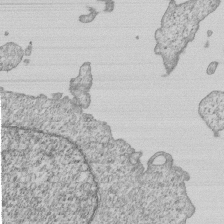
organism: Human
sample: MDA-MB-231 cells